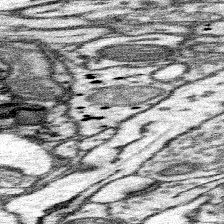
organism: Mouse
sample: Somatosensory cortex neuropil